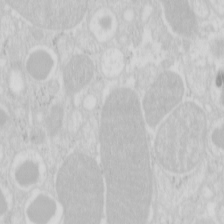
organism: Mouse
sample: Pancreas